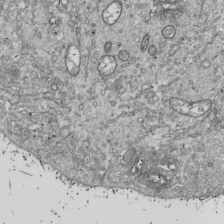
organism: Drosophila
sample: Cell division; meiosis; drosophila spermatocytes